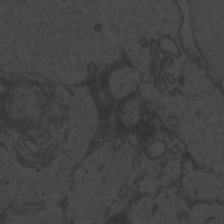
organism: Zebrafish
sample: Macrophage infected with Toxoplasma gondii